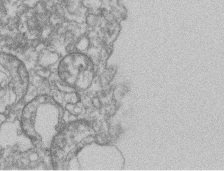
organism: Mouse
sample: T cell stromal cell synapse